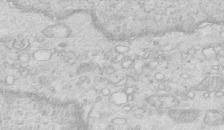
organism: Mouse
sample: Multiciliated cells